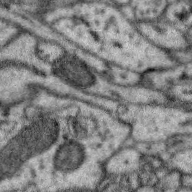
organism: Zebra finch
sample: Brain